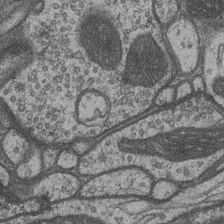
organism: Drosophila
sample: Optic medulla